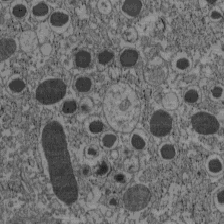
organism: C57BL Mouse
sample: Pancreatic islet